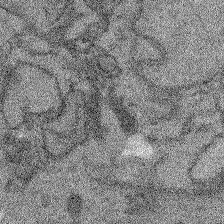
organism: Human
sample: HeLa cells